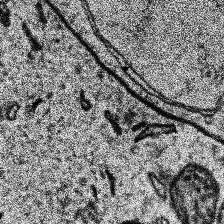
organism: Human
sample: Temporal Lobe